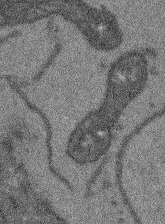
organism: Arabidopsis thaliana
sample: Root tip